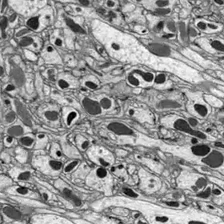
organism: Drosophila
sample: Optic lobe